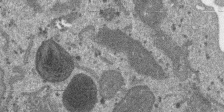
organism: Human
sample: Lung epithelial cells infected with SARS-CoV-2